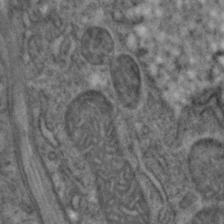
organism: C. elegans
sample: C. elegans embryo